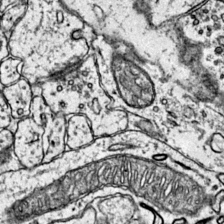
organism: Mouse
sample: Primary visual cortex